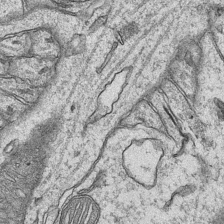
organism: Mouse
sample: CA1 Hippocampus